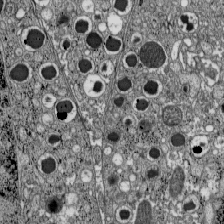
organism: C57BL Mouse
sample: Pancreatic islet